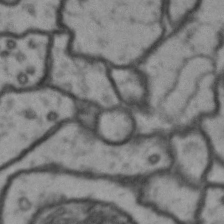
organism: Drosophila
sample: Brain